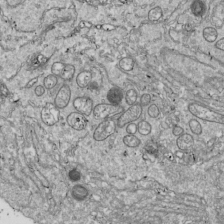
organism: Drosophila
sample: Cell division; meiosis; drosophila spermatocytes